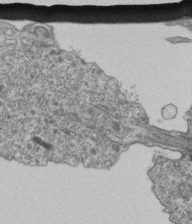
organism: Human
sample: Retinal organoid Rod and Cone cells